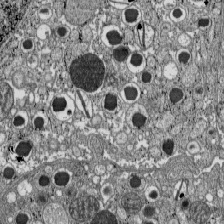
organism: C57BL Mouse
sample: Pancreatic islet